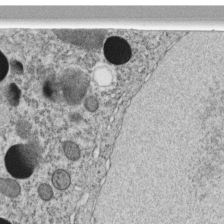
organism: C. elegans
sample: C. elegans embryo early stage